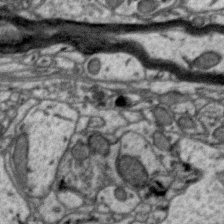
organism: Zebra finch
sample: Brain